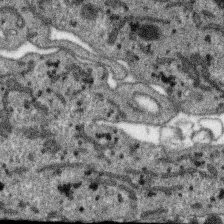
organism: Human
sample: Lung epithelial cells infected with SARS-CoV-2